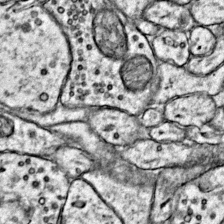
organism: Mouse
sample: Primary visual cortex